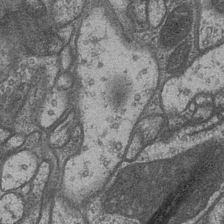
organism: Drosophila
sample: Optic medulla